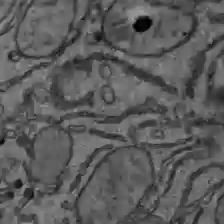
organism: C57BL Mouse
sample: Liver